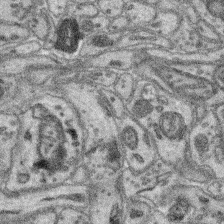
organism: Mouse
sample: Retina